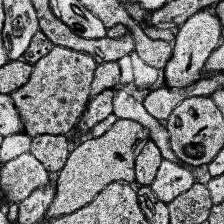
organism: Human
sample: Temporal Lobe